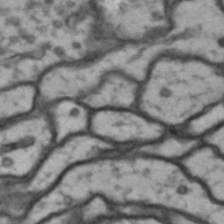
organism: Drosophila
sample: Brain